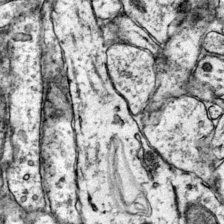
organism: Mouse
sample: Primary visual cortex